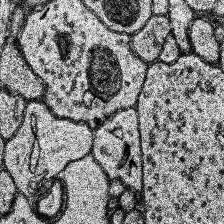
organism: Human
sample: Temporal Lobe